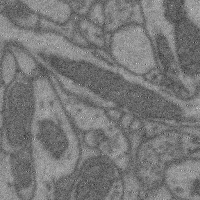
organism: Mouse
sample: Cerebral cortex